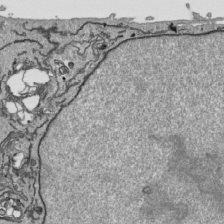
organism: Human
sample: Mitochondria in HCT116 cells